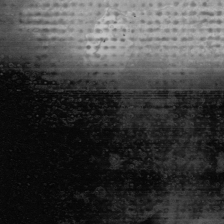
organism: Human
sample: Mitochondria in U2OS cells